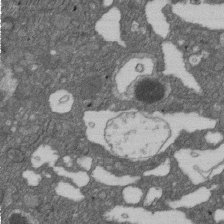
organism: Drosophila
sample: Nephrocyte